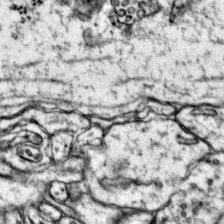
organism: Mouse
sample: Primary visual cortex